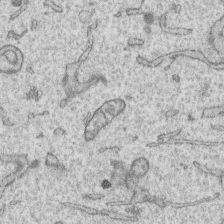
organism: Human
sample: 1205lu cells